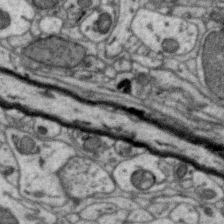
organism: Zebra finch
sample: Brain